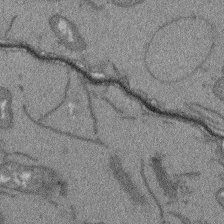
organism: Arabidopsis thaliana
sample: Root tip